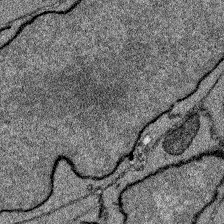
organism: Zebrafish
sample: Larval olfactory bulb